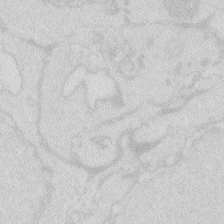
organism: Zebrafish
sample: Macrophage